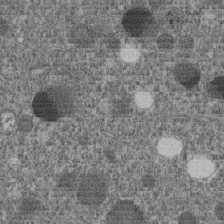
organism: C. elegans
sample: C. elegans embryo early stage